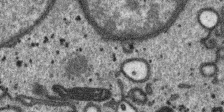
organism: Human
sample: Lung epithelial cells infected with SARS-CoV-2